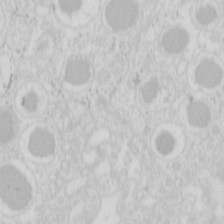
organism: Mouse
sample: Pancreas